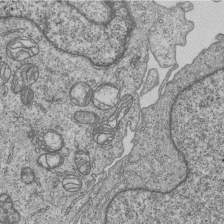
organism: Human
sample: MDA-MB-231 cells